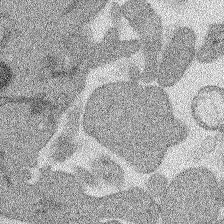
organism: Human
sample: HeLa cells